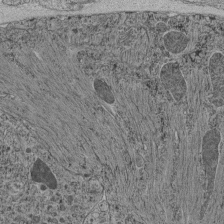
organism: C. elegans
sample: C. elegans pharynx